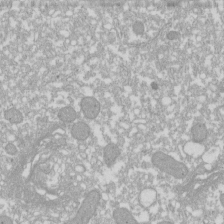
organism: Xenopus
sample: Cilia; centrioles in frog embryo cells